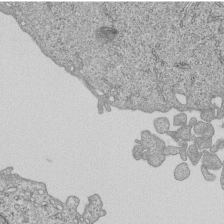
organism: Human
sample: MDA-MB-231 cells